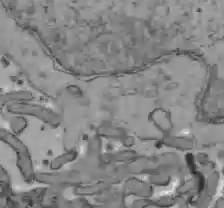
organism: C57BL Mouse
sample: Liver